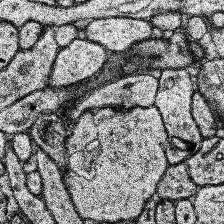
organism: Human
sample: Temporal Lobe